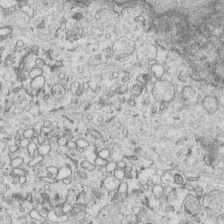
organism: Human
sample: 1205lu cells